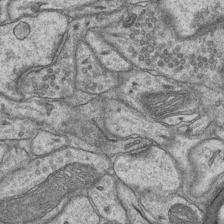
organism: Mouse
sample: CA1 Hippocampus